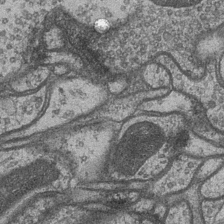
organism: Drosophila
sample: Optic medulla